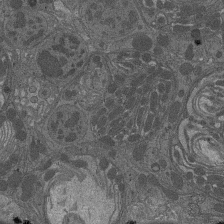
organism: Drosophila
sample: Antenna